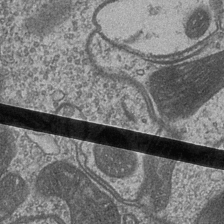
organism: Drosophila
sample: Optic medulla